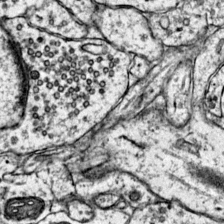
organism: Mouse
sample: Primary visual cortex